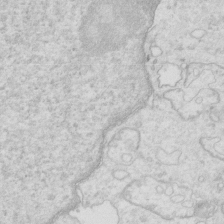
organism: Mouse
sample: Multiciliated cells